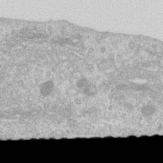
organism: Human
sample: Centriole in RPE cells